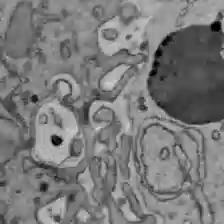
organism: C57BL Mouse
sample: Liver